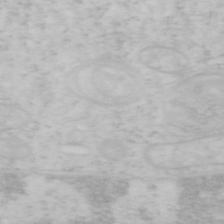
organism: Mouse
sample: OT-I killer T cells with ID8 ovarian cancer cells